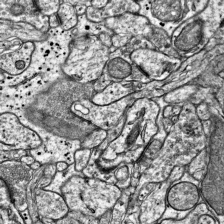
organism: Mouse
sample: Visual Cortex